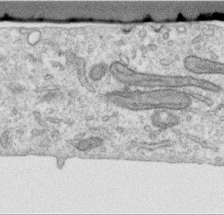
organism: Human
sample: Centriole in RPE cells